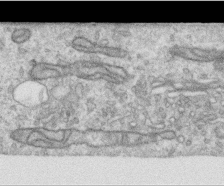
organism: Human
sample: Centriole in RPE cells